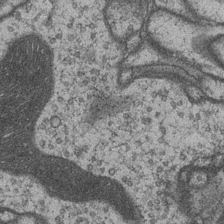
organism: Drosophila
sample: Optic medulla